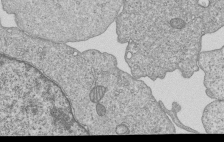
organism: Human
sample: MDA-MB-231 cells